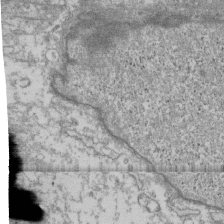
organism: Human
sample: Fibroblast cells